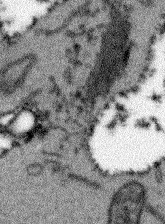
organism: Arabidopsis thaliana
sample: Root tip